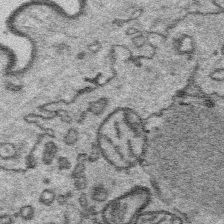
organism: Platynereis dumerilii